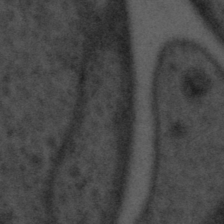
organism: Tuwongella immobilis